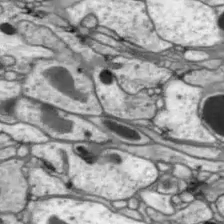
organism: Drosophila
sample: Optic lobe